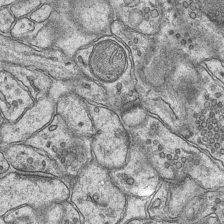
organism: Mouse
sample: CA1 Hippocampus